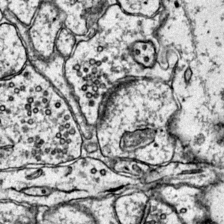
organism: Mouse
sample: Primary visual cortex